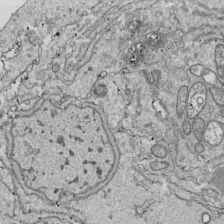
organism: Drosophila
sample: Cell division; meiosis; drosophila spermatocytes